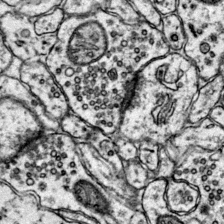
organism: Mouse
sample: Primary visual cortex